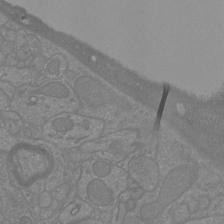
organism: Mouse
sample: Cortical neurons